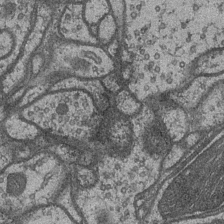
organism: Drosophila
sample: Optic medulla